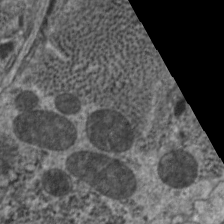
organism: C. elegans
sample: Pharynx